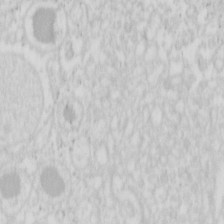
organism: Mouse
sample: Pancreas